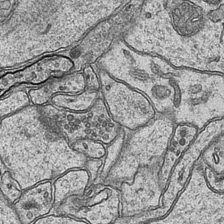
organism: Mouse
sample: CA1 Hippocampus